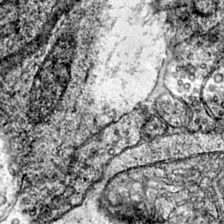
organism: Mouse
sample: Primary visual cortex